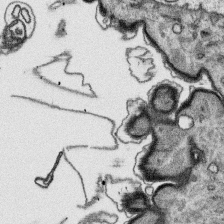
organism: Platynereis dumerilii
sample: Parapodia